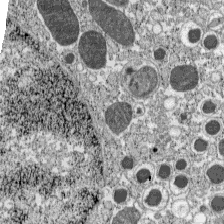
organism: C57BL Mouse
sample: Pancreatic islet